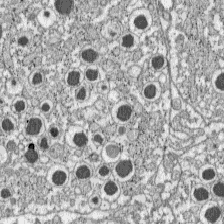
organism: C57BL Mouse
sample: Pancreatic islet